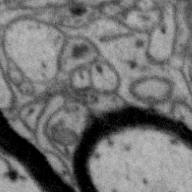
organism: Zebra finch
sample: Brain